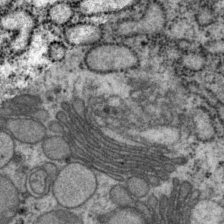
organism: P. pacificus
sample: Pharynx